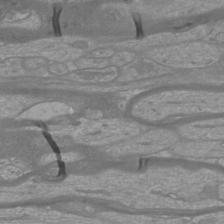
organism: Mouse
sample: Cortical neurons